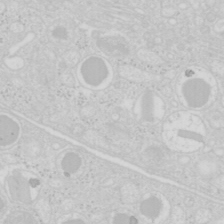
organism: Mouse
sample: Pancreas